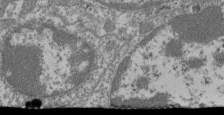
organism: Mouse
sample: Glomerulus